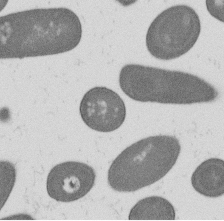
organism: B. subtilis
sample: Bacterial spore